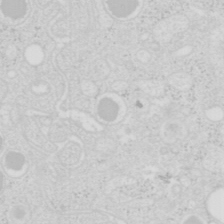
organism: Mouse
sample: Pancreas